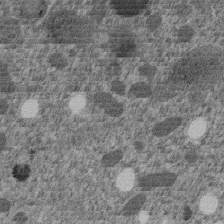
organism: C. elegans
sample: C. elegans embryo early stage